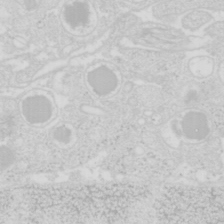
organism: Mouse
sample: Pancreas